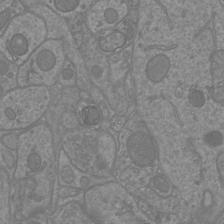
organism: Mouse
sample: Cortical neurons